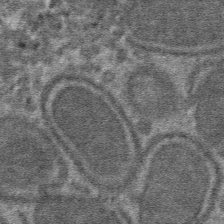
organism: Mouse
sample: Mouse hepatocytes